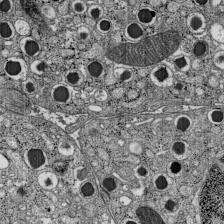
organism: C57BL Mouse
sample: Pancreatic islet